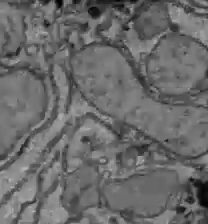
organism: C57BL Mouse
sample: Liver